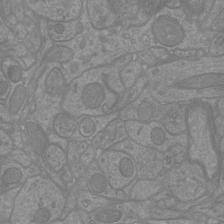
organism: Mouse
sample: Cortical neurons